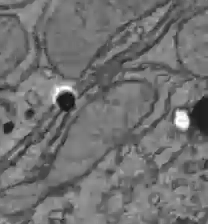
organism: C57BL Mouse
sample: Liver